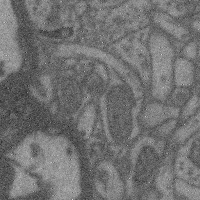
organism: Mouse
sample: Cerebral cortex